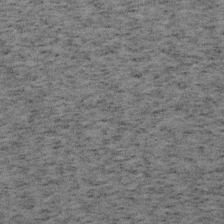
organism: Mouse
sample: OT-I killer T cells with ID8 ovarian cancer cells